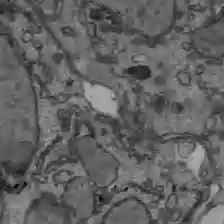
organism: C57BL Mouse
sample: Liver